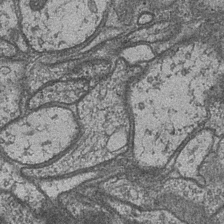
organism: Drosophila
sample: Optic medulla